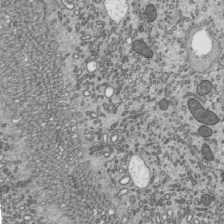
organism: Mouse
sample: Mouse epididymis efferent ductule cilia